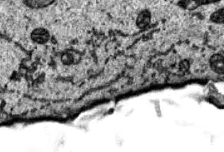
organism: Human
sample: HeLa cells